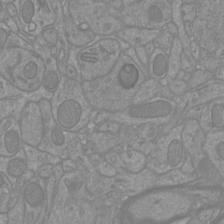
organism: Mouse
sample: Cortical neurons